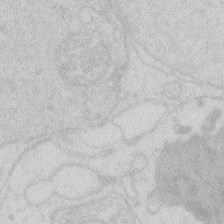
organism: Zebrafish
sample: Macrophage